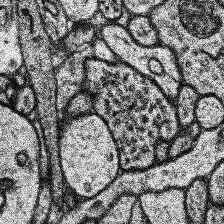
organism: Human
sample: Temporal Lobe